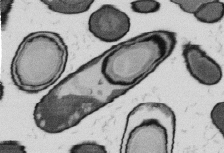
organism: B. subtilis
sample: Bacterial spore